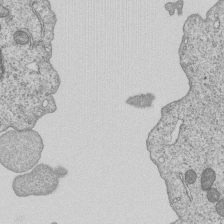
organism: Human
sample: MDA-MB-231 cells